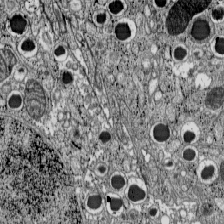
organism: C57BL Mouse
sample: Pancreatic islet